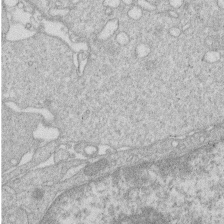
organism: Human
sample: Macrophage cells